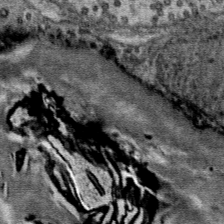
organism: Mouse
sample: Mouse Salivary gland